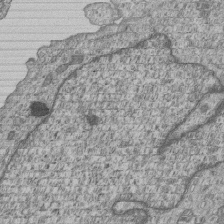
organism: Human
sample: MDA-MB-231 cells